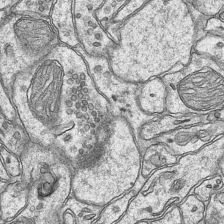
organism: Mouse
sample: CA1 Hippocampus